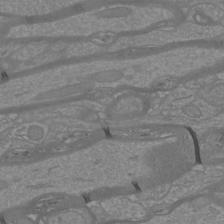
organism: Mouse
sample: Cortical neurons